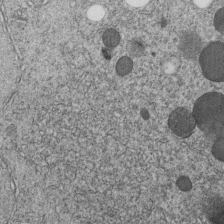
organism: C. elegans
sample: C. elegans embryo early stage